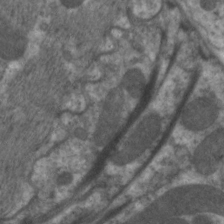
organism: C. elegans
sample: Pharynx